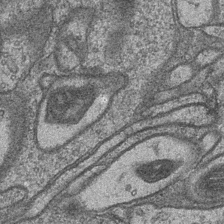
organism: Drosophila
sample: Optic medulla